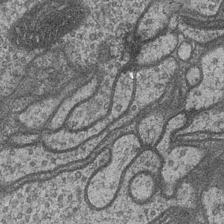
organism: Drosophila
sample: Optic medulla